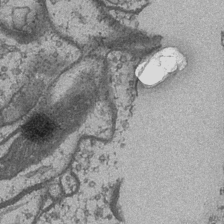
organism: Drosophila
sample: Optic medulla